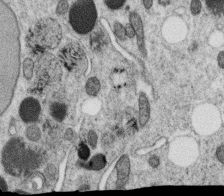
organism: C. elegans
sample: C. elegans oocyte; sperm cells